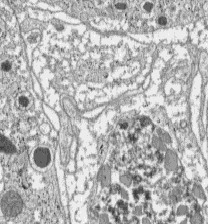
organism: C57BL Mouse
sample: Pancreatic islet